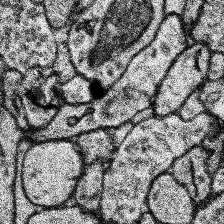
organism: Human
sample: Temporal Lobe